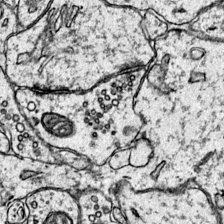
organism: Mouse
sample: Primary visual cortex